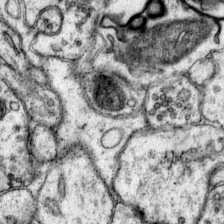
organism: Mouse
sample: Primary visual cortex